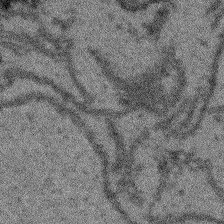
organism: Arabidopsis thaliana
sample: Root tip